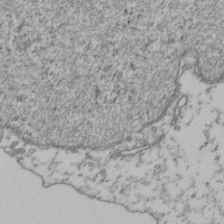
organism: Human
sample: Activated Jurkat CD4+ T cells